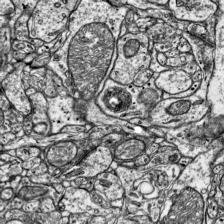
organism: Mouse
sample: Visual Cortex